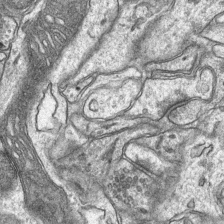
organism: Mouse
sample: CA1 Hippocampus